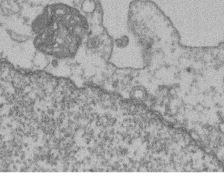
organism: Mouse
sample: T cell stromal cell synapse